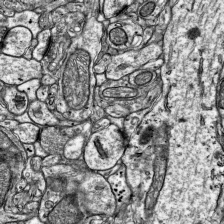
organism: Mouse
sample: Visual Cortex